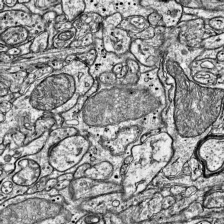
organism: Mouse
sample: Visual Cortex